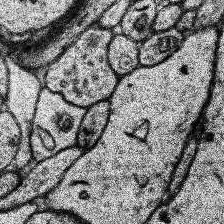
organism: Human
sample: Temporal Lobe